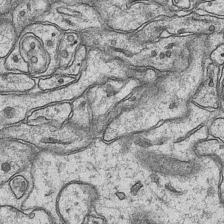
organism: Mouse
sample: CA1 Hippocampus